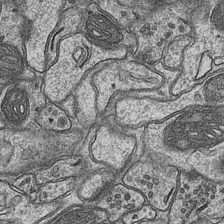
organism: Mouse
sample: CA1 Hippocampus